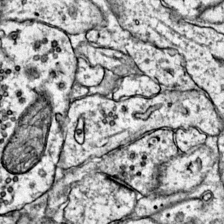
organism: Mouse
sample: Primary visual cortex